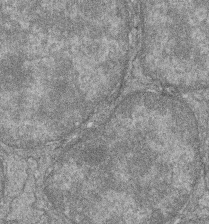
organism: Zebrafish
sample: Cilia; retinal pigment epithelium